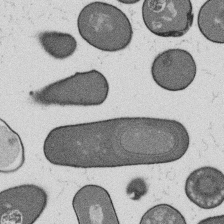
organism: B. subtilis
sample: Bacterial spore